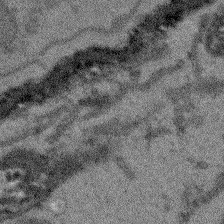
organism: Arabidopsis thaliana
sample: Root tip